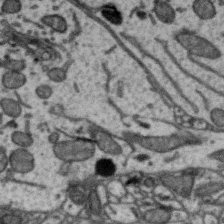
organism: Zebra finch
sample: Brain